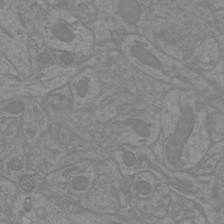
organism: Mouse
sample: Cortical neurons